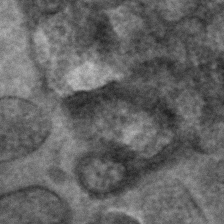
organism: C. elegans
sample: C. elegans embryo